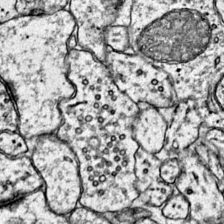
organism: Mouse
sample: Primary visual cortex